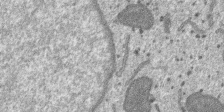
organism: Human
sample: Lung epithelial cells infected with SARS-CoV-2